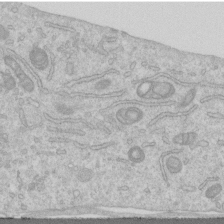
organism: Human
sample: Centriole in RPE cells